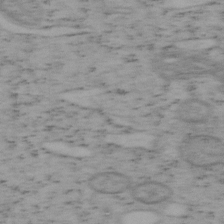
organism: Mouse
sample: OT-I killer T cells with ID8 ovarian cancer cells